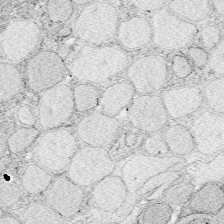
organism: Zebrafish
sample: Whole-Brain